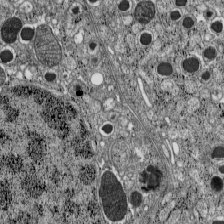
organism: C57BL Mouse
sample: Pancreatic islet